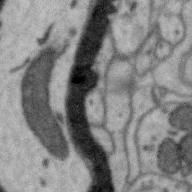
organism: Zebra finch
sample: Brain